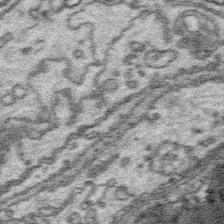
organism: Platynereis dumerilii